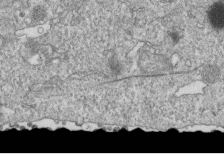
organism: Human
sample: HeLa cell HIV synapse